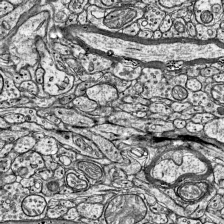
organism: Mouse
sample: Visual Cortex